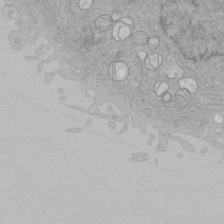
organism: Human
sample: Mitochondria in HCT116 cells